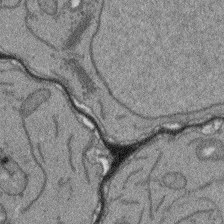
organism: Arabidopsis thaliana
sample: Root tip